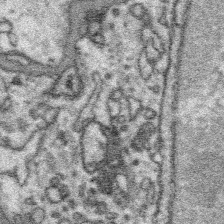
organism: Platynereis dumerilii